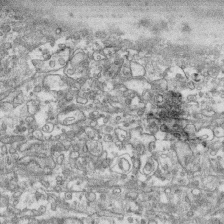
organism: Human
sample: CRL-1474